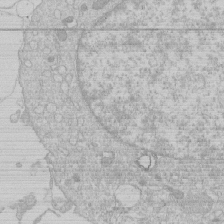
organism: Human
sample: Macrophage cells